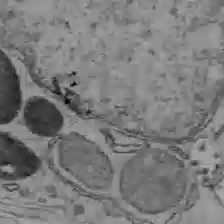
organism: C57BL Mouse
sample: Liver